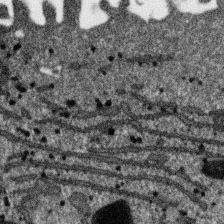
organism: Human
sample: Lung epithelial cells infected with SARS-CoV-2